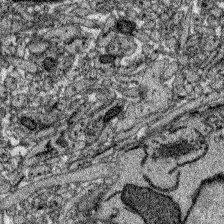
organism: Zebrafish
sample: Larval olfactory bulb